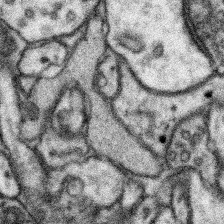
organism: Mouse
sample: Somatosensory cortex neuropil